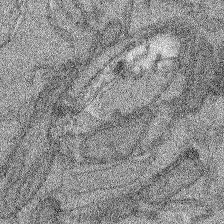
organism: Human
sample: HeLa cells